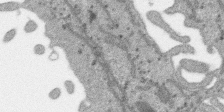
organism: Human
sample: Lung epithelial cells infected with SARS-CoV-2